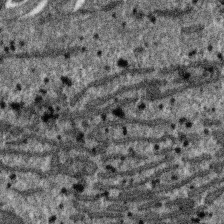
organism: Human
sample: Lung epithelial cells infected with SARS-CoV-2